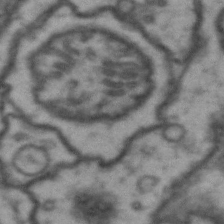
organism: Drosophila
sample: Brain